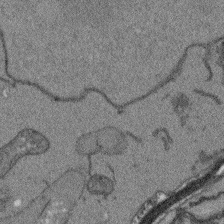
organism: Arabidopsis thaliana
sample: Root tip